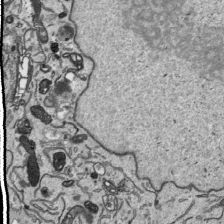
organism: Human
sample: Mitochondria in HCT116 cells